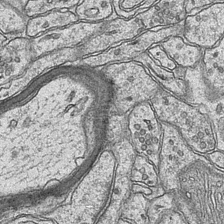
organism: Mouse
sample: CA1 Hippocampus